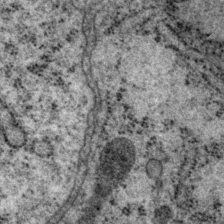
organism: P. pacificus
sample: Pharynx